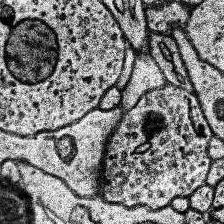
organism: Human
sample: Temporal Lobe